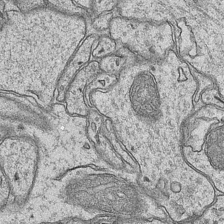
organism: Mouse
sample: CA1 Hippocampus